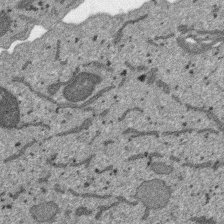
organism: Human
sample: Lung epithelial cells infected with SARS-CoV-2